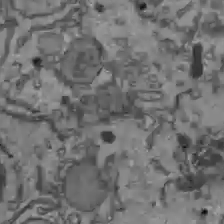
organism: C57BL Mouse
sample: Liver